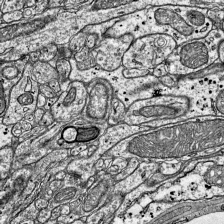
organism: Mouse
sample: Visual Cortex